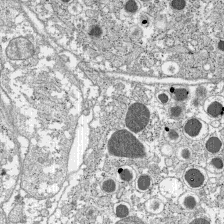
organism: C57BL Mouse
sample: Pancreatic islet